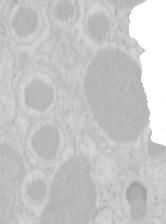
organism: Mouse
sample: Pancreas